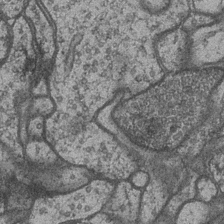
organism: Drosophila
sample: Optic medulla